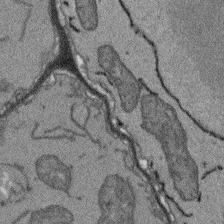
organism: Arabidopsis thaliana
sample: Root tip